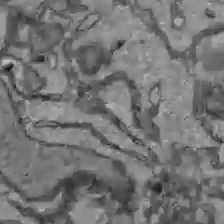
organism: C57BL Mouse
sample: Liver